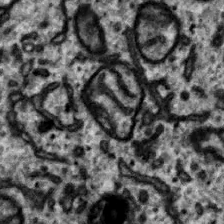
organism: Human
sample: HeLa cells